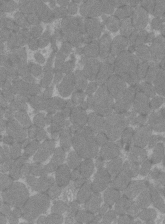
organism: C57BL Mouse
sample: Tibialis anterior muscle cell